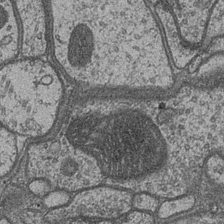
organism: Drosophila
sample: Optic medulla